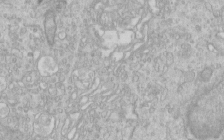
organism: Human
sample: Centriole in RPE cells